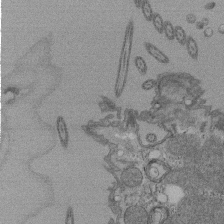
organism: Tetrahymena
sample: Cilia in tetrahymena